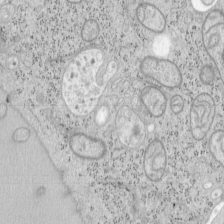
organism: Mouse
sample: OT-I killer T cells with ID8 ovarian cancer cells